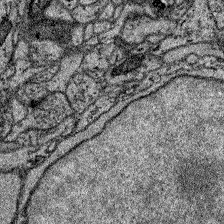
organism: Zebrafish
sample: Larval olfactory bulb